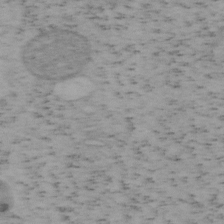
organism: Mouse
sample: OT-I killer T cells with ID8 ovarian cancer cells